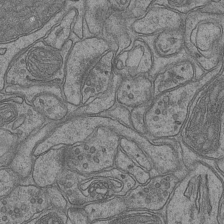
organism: Mouse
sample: CA1 Hippocampus